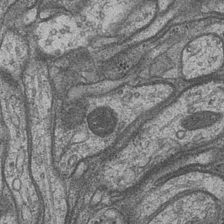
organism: Drosophila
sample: Optic medulla